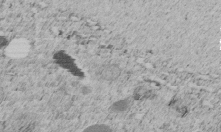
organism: C. elegans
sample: C. elegans embryo early stage